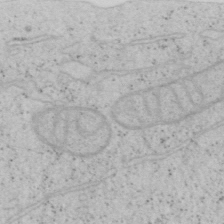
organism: Human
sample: HeLa cells